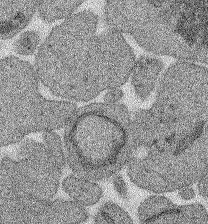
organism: Human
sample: HeLa cells